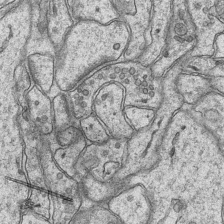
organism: Mouse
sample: CA1 Hippocampus